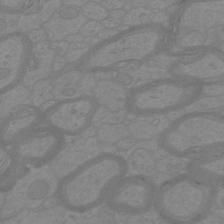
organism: Mouse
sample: Cortical neurons